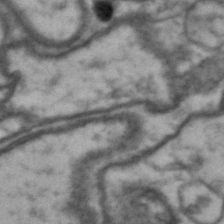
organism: Drosophila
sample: Brain